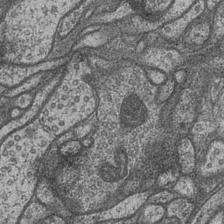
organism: Drosophila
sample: Optic medulla